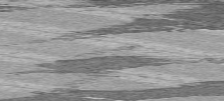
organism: C57BL Mouse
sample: Heart